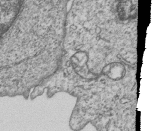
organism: Human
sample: MDA-MB-231 cells